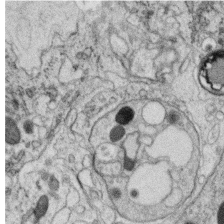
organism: C. elegans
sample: C. elegans oocyte; sperm cells